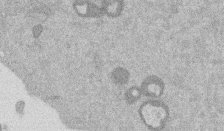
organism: Mouse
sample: Dividing mouse embryo 1 cell stage